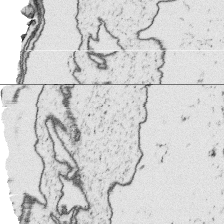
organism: Platynereis dumerilii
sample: Parapodia